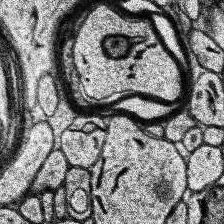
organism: Human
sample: Temporal Lobe